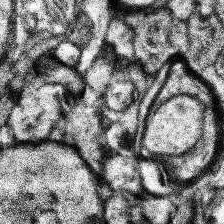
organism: Human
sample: Temporal Lobe